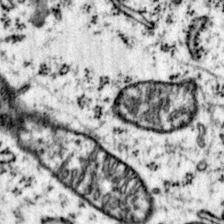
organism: Mouse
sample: Primary visual cortex